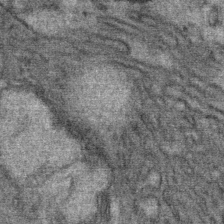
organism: Mouse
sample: Mouse Salivary gland